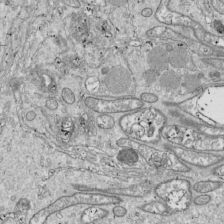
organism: Drosophila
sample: Cell division; meiosis; drosophila spermatocytes